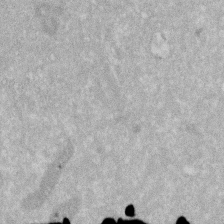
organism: Human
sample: HIV infected U937 cells